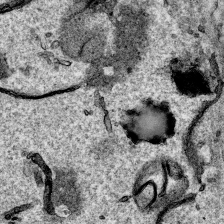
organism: Human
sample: Mitochondria in HCT116 cells